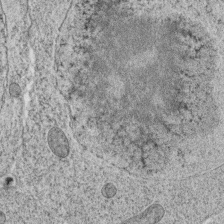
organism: C. elegans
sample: C. elegans oocyte; sperm cells